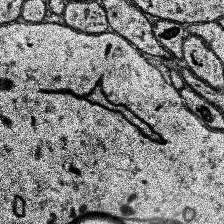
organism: Human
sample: Temporal Lobe